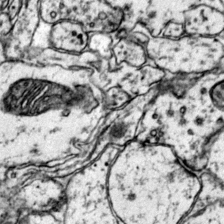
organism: Mouse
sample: Primary visual cortex